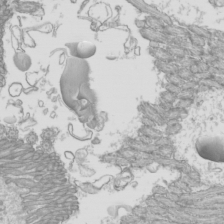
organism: Mouse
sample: Cilia; mouse epididymis